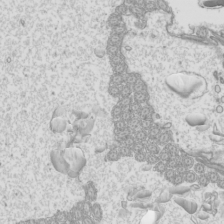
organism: Mouse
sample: Cilia; mouse epididymis